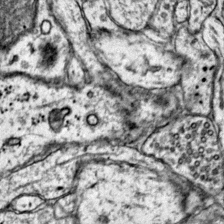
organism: Mouse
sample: Primary visual cortex